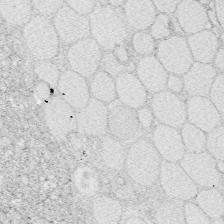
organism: Zebrafish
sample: Whole-Brain